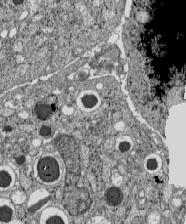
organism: C57BL Mouse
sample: Pancreatic islet